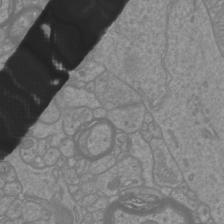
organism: Mouse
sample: Cortical neurons